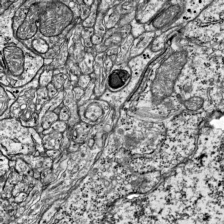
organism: Mouse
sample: Visual Cortex